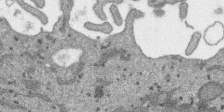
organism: Human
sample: Lung epithelial cells infected with SARS-CoV-2